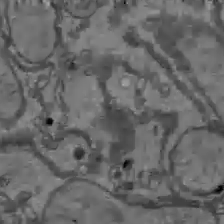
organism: C57BL Mouse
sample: Liver